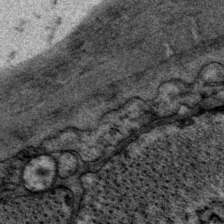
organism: P. pacificus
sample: Pharynx